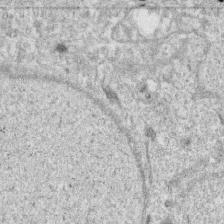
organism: Human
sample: HeLa cell HIV synapse